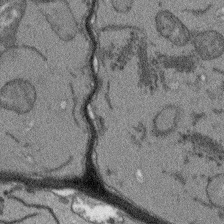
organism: Arabidopsis thaliana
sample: Root tip